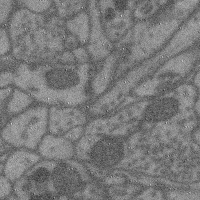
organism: Mouse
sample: Cerebral cortex